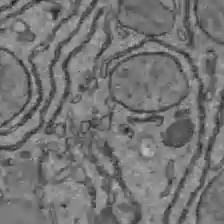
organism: C57BL Mouse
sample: Liver